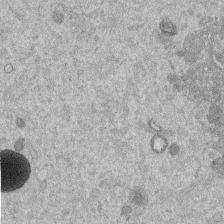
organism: Mouse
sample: Dividing mouse embryo 1 cell stage